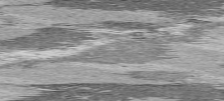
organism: C57BL Mouse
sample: Heart